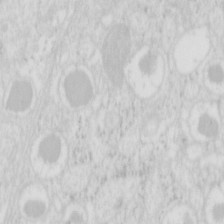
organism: Mouse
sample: Pancreas